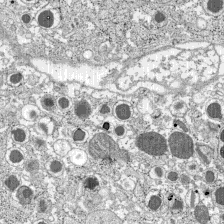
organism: C57BL Mouse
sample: Pancreatic islet